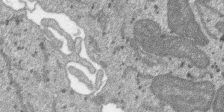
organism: Human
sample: Lung epithelial cells infected with SARS-CoV-2